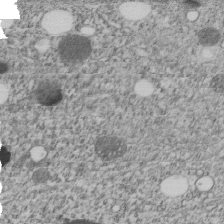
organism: C. elegans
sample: C. elegans embryo early stage